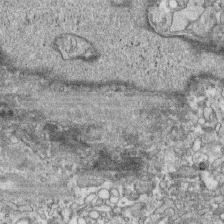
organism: Human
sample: CRL-1474